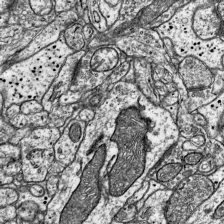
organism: Mouse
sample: Visual Cortex